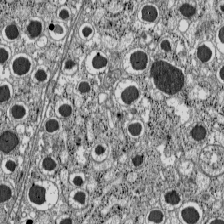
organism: C57BL Mouse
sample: Pancreatic islet